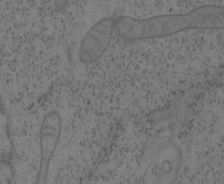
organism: Mouse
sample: OT-I killer T cells with ID8 ovarian cancer cells